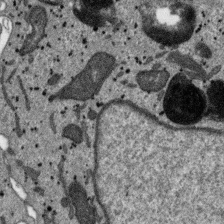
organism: Human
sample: Lung epithelial cells, uninfected (mock) control